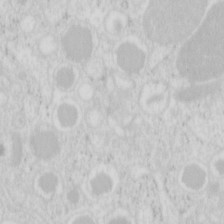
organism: Mouse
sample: Pancreas